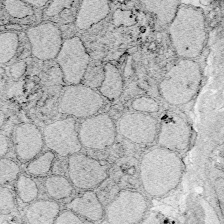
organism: Zebrafish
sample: Whole-Brain